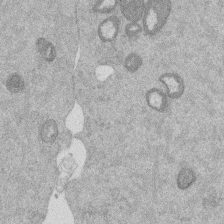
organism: Mouse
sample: Dividing mouse embryo 1 cell stage